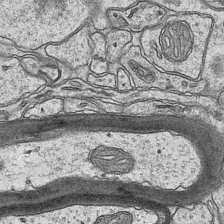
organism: Mouse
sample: CA1 Hippocampus